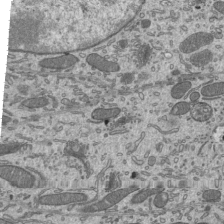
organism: Mouse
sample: Mouse epididymis efferent ductule cilia